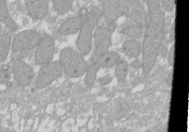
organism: Xenopus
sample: Cilia; centrioles in frog embryo cells